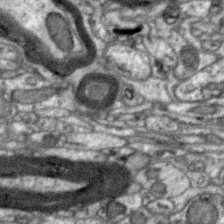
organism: Zebra finch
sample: Brain